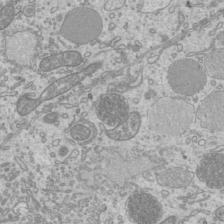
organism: Mouse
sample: Cilia; mouse epididymis